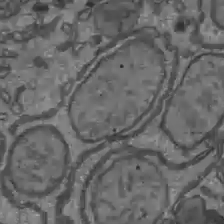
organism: C57BL Mouse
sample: Liver